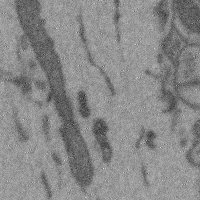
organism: Mouse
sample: Cerebral cortex